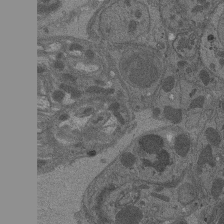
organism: Drosophila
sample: Antenna